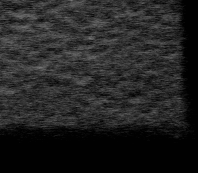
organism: Human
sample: HeLa cells